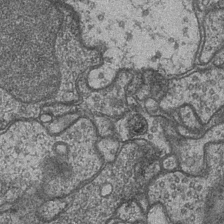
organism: Drosophila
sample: Optic medulla